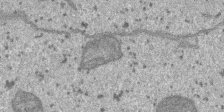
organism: Human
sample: Lung epithelial cells infected with SARS-CoV-2